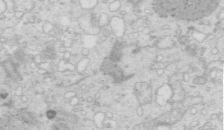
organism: Mouse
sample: Multiciliated cells